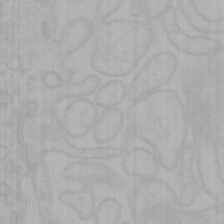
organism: Mouse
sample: Choroid plexus